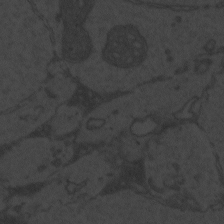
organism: Zebrafish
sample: Macrophage infected with Toxoplasma gondii